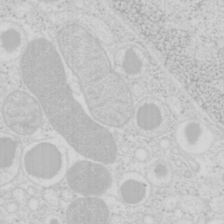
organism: Mouse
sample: Pancreas